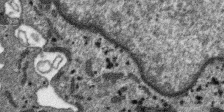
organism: Human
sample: Lung epithelial cells infected with SARS-CoV-2